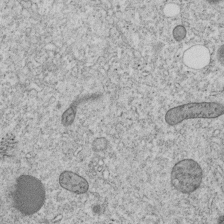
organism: C. elegans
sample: C. elegans embryo early stage